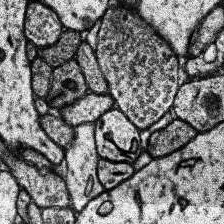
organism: Human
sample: Temporal Lobe